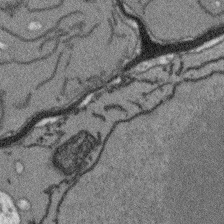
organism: Arabidopsis thaliana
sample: Root tip